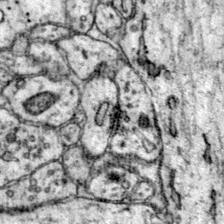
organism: Mouse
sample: Primary visual cortex